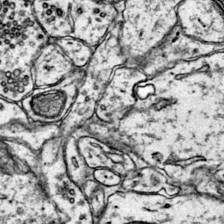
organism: Mouse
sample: Primary visual cortex